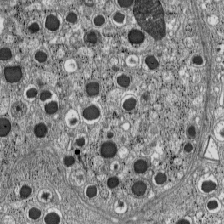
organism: C57BL Mouse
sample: Pancreatic islet